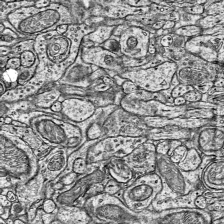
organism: Mouse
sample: Visual Cortex